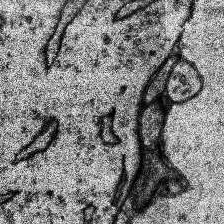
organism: Human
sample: Temporal Lobe